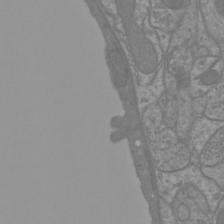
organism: Mouse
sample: Cortical neurons